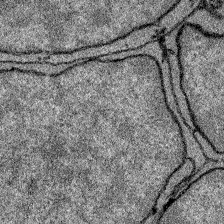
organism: Zebrafish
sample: Larval olfactory bulb